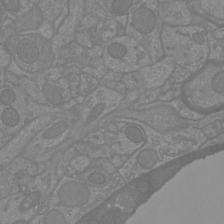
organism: Mouse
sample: Cortical neurons